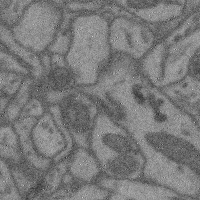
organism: Mouse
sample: Cerebral cortex